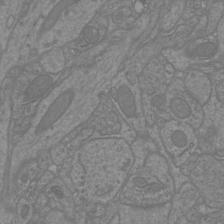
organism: Mouse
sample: Cortical neurons